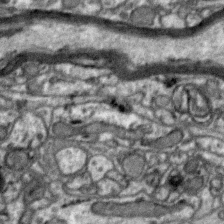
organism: Zebra finch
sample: Brain